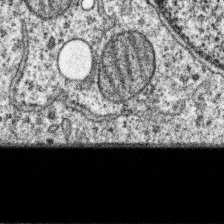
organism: Human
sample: HeLa cells